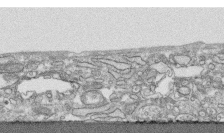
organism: Human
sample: CRL-1474